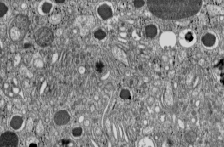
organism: C57BL Mouse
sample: Pancreatic islet